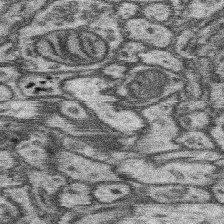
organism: Mouse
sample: Somatosensory cortex neuropil